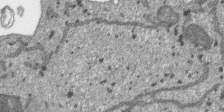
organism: Human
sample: Lung epithelial cells infected with SARS-CoV-2